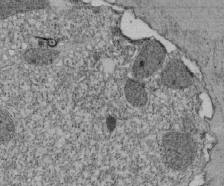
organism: Tetrahymena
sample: Cilia in tetrahymena